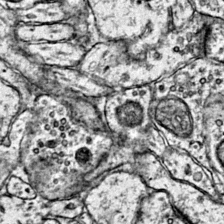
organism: Mouse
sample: Primary visual cortex